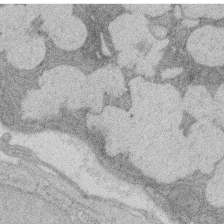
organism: Rat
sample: Salivary granule